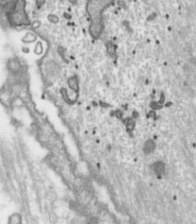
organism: Toxoplasma gondii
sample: Parasites in a vacuole inside a host cell